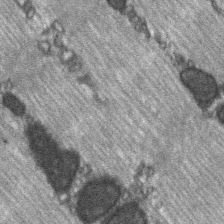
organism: C57BL Mouse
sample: Soleus